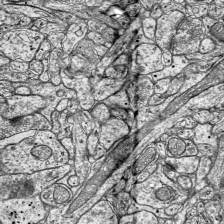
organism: Mouse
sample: Visual Cortex